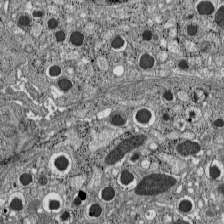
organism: C57BL Mouse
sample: Pancreatic islet